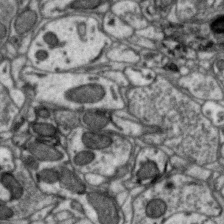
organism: Zebra finch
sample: Brain